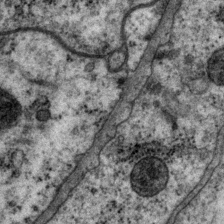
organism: P. pacificus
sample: Pharynx